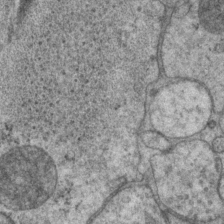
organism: P. pacificus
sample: Pharynx